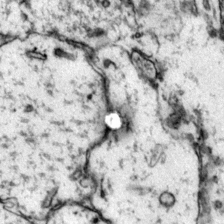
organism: Mouse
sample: Primary visual cortex